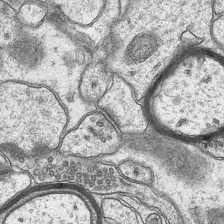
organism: Mouse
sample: CA1 Hippocampus